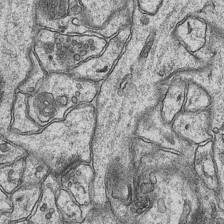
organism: Mouse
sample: CA1 Hippocampus